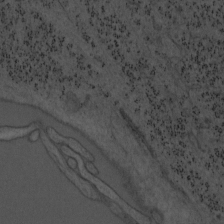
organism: Mouse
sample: OT-I killer T cells with ID8 ovarian cancer cells